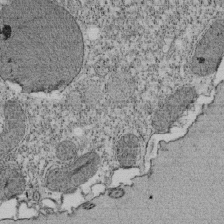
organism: Tetrahymena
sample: Cilia in tetrahymena